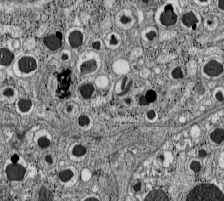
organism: C57BL Mouse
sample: Pancreatic islet